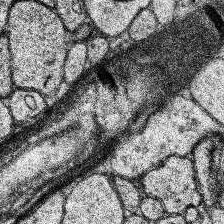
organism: Human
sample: Temporal Lobe